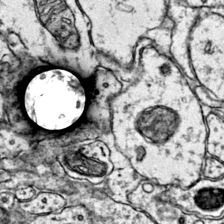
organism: Mouse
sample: Primary visual cortex